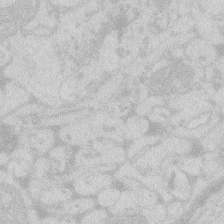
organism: Zebrafish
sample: Macrophage